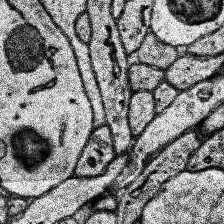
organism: Human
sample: Temporal Lobe